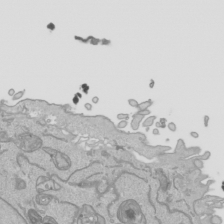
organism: Human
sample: Mitochondria in HCT116 cells